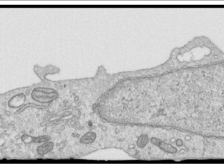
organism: Human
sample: Centriole in RPE cells